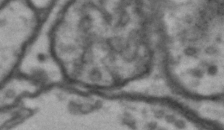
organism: Drosophila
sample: Brain